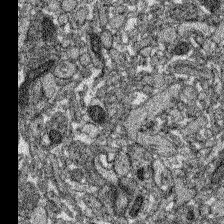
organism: Zebrafish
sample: Larval olfactory bulb